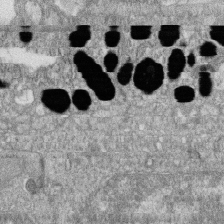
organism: Zebrafish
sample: Cilia; retinal pigment epithelium